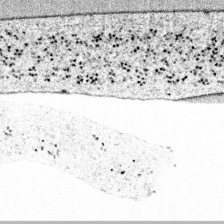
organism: Human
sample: HeLa cells